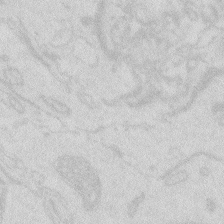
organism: Zebrafish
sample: Macrophage